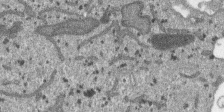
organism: Human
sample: Lung epithelial cells infected with SARS-CoV-2